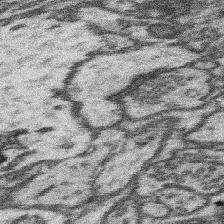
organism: Mouse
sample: Somatosensory cortex neuropil